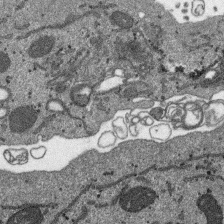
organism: Human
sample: Lung epithelial cells infected with SARS-CoV-2